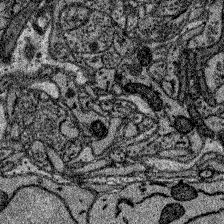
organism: Zebrafish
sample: Larval olfactory bulb